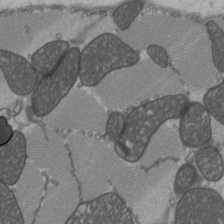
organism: C57BL Mouse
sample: Heart